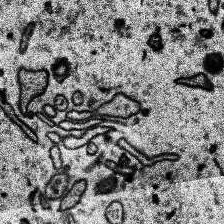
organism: Human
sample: Temporal Lobe